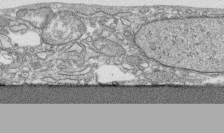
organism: Human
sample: CRL-1474